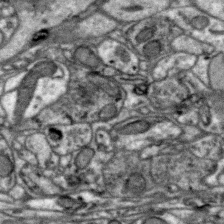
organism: Zebra finch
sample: Brain